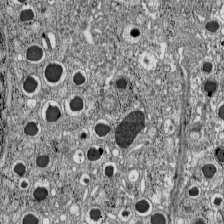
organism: C57BL Mouse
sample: Pancreatic islet